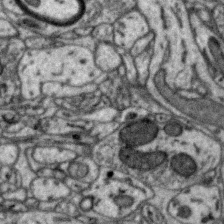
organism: Zebra finch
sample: Brain